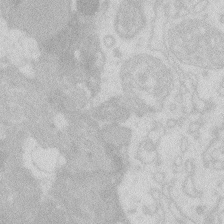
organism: Zebrafish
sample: Macrophage